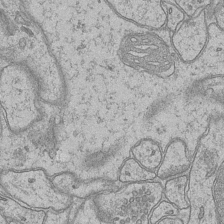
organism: Mouse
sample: CA1 Hippocampus